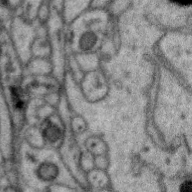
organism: Zebra finch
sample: Brain